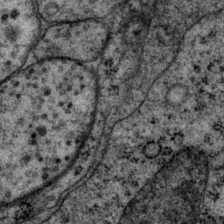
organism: P. pacificus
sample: Pharynx